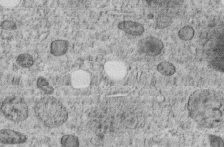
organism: C. elegans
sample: C. elegans embryo early stage